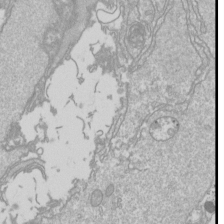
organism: Drosophila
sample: Cell division; meiosis; drosophila spermatocytes